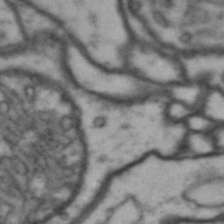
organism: Drosophila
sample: Brain